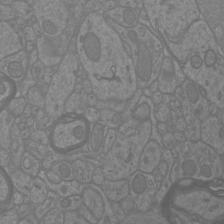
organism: Mouse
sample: Cortical neurons